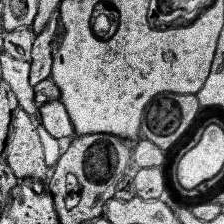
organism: Human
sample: Temporal Lobe